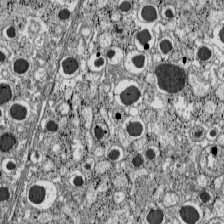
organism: C57BL Mouse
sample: Pancreatic islet